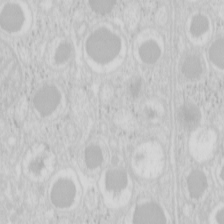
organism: Mouse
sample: Pancreas